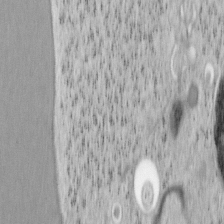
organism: Human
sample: HeLa cells